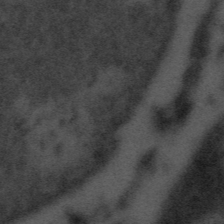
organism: Tuwongella immobilis